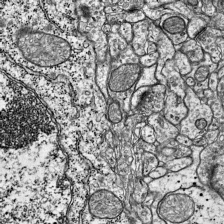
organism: Mouse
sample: Visual Cortex